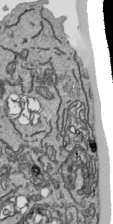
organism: Human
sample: Mitochondria in HCT116 cells